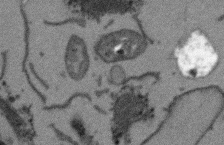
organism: Arabidopsis thaliana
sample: Root tip